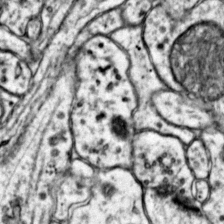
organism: Mouse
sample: Primary visual cortex